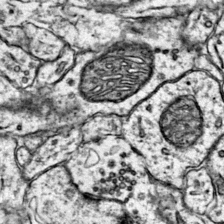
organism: Mouse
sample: Primary visual cortex